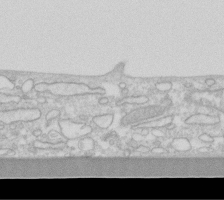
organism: Human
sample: Fibroblast cells